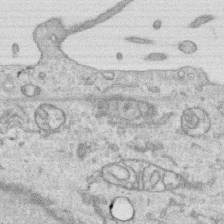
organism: Human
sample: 1205lu cells